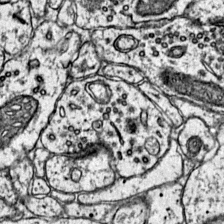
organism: Mouse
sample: Primary visual cortex